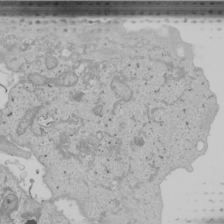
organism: Human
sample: Mitochondria in U2OS cells